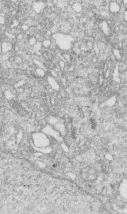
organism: Human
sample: HeLa cell HIV synapse